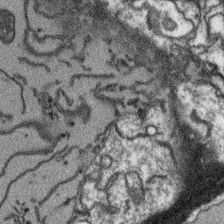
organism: Arabidopsis thaliana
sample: Root tip